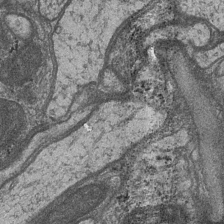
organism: Drosophila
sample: Optic medulla